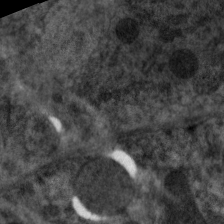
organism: C. elegans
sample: Pharynx